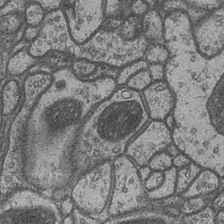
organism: Drosophila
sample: Optic medulla